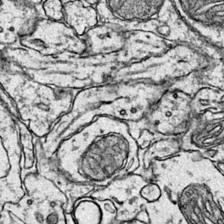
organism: Mouse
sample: Primary visual cortex